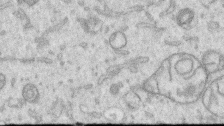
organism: Human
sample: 1205lu cells